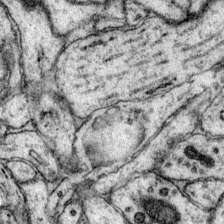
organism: Mouse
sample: Primary visual cortex